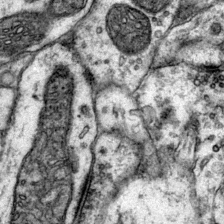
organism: Mouse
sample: Primary visual cortex